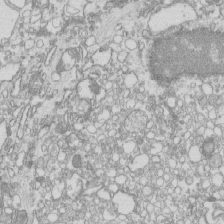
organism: Mouse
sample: Macrophages